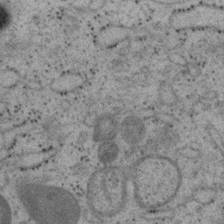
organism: Human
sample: HeLa cells